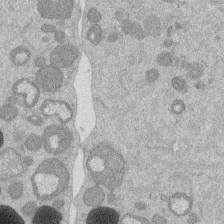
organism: Mouse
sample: Dividing mouse embryo 1 cell stage